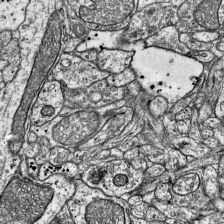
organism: Mouse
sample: Visual Cortex